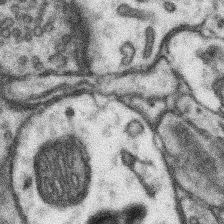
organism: Mouse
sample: Somatosensory cortex neuropil